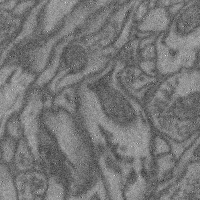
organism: Mouse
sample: Cerebral cortex